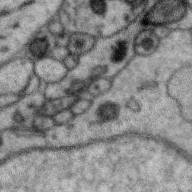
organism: Zebra finch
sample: Brain